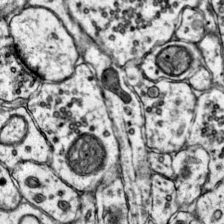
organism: Mouse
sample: Primary visual cortex